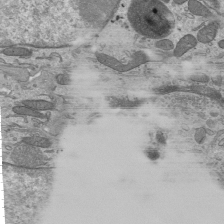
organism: Mouse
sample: Mouse epididymis efferent ductule cilia